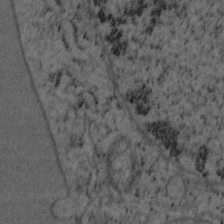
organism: Human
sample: HeLa cells